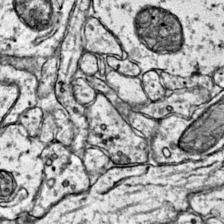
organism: Mouse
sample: Primary visual cortex